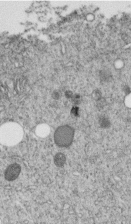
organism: C. elegans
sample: C. elegans embryo early stage